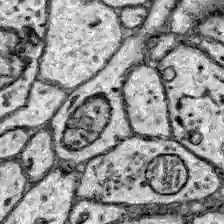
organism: Zebrafish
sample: Brain